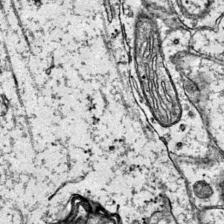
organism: Mouse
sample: Primary visual cortex